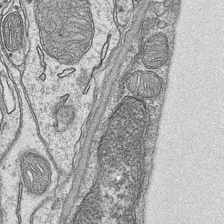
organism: Mouse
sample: CA1 Hippocampus